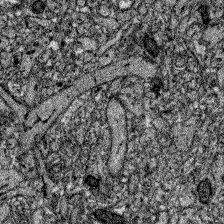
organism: Zebrafish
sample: Larval olfactory bulb